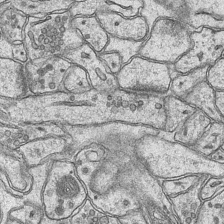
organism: Mouse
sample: CA1 Hippocampus